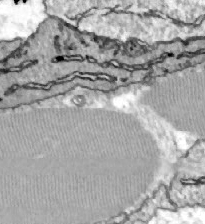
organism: Zebrafish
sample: Actinotrichia fibers